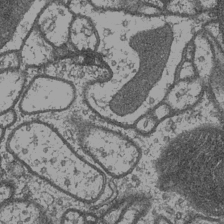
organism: Drosophila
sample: Optic medulla